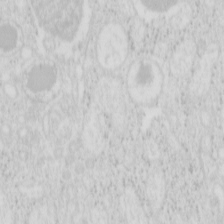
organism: Mouse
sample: Pancreas